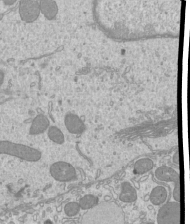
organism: Mouse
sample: Cilia; mouse epididymis